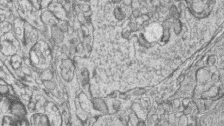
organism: Zebrafish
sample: synaptic ribbons in rod cells and cone cells